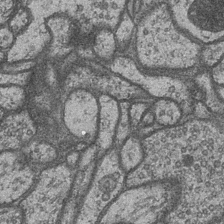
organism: Drosophila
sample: Optic medulla